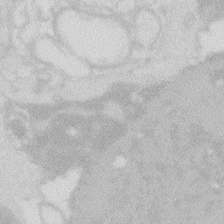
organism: Zebrafish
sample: Macrophage